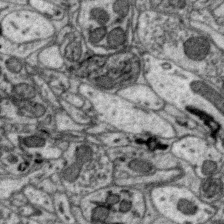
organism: Zebra finch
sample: Brain